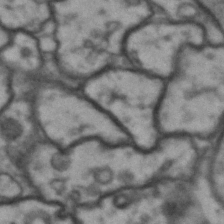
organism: Drosophila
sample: Brain